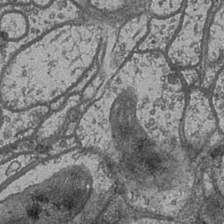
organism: Drosophila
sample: Optic medulla